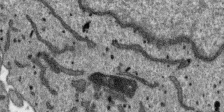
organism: Human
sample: Lung epithelial cells, uninfected (mock) control